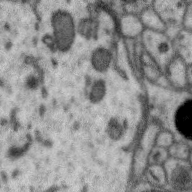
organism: Zebra finch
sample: Brain